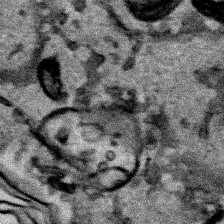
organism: Human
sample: Mitochondria in HCT116 cells